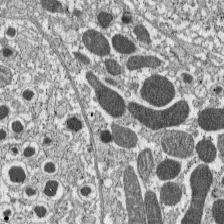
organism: C57BL Mouse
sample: Pancreatic islet